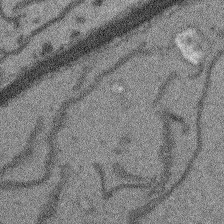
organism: Arabidopsis thaliana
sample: Root tip